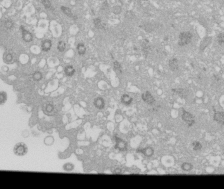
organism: Xenopus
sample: Cilia; centrioles in frog embryo cells